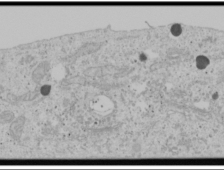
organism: Human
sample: Mitochondria in U2OS cells